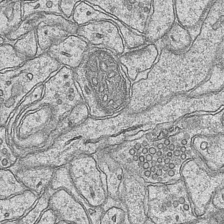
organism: Mouse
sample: CA1 Hippocampus